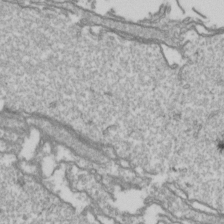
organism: Drosophila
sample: Cell division; meiosis; drosophila spermatocytes